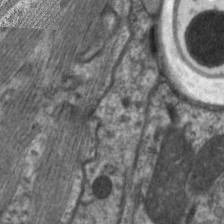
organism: C. elegans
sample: Pharynx